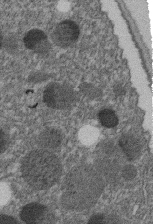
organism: C. elegans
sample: C. elegans embryo early stage